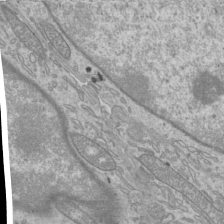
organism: Mouse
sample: Cilia; mouse epididymis